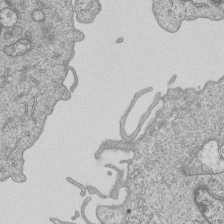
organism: Human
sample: MDA-MB-231 cells